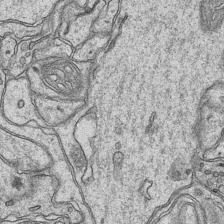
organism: Mouse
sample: CA1 Hippocampus